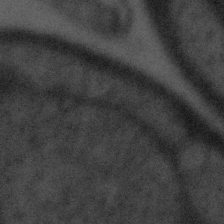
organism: Tuwongella immobilis